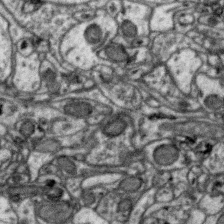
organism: Zebra finch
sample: Brain